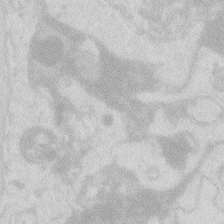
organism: Zebrafish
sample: Macrophage